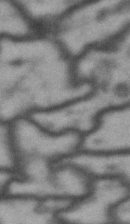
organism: Drosophila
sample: Brain